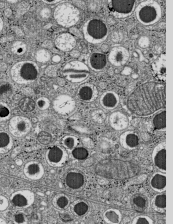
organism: C57BL Mouse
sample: Pancreatic islet